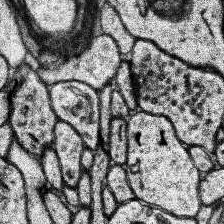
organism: Human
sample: Temporal Lobe